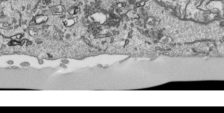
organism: Human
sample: Mitochondria in HCT116 cells